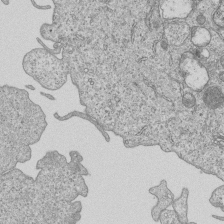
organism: Human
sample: MDA-MB-231 cells